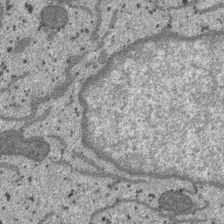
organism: Human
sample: Lung epithelial cells infected with SARS-CoV-2